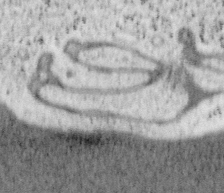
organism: Mouse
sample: OT-I killer T cells with ID8 ovarian cancer cells